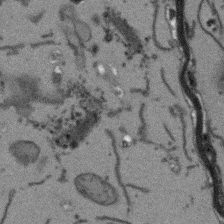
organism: Arabidopsis thaliana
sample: Root tip